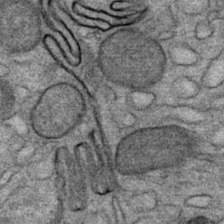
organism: Mouse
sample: Mouse Salivary gland